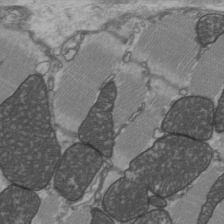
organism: C57BL Mouse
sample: Heart